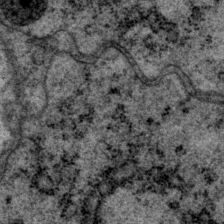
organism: P. pacificus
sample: Pharynx